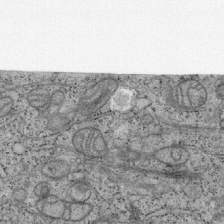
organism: Human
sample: HeLa cells